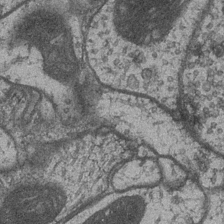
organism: Drosophila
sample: Optic medulla